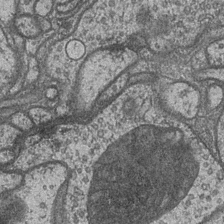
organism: Drosophila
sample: Optic medulla